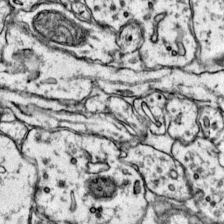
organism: Mouse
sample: Primary visual cortex